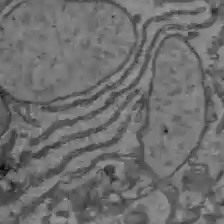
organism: C57BL Mouse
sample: Liver